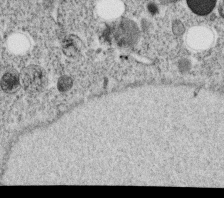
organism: C. elegans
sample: C. elegans oocyte; sperm cells